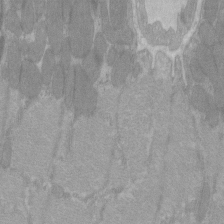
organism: C57BL Mouse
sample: Tibialis anterior muscle cell